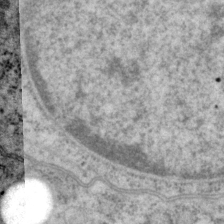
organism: P. pacificus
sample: Pharynx